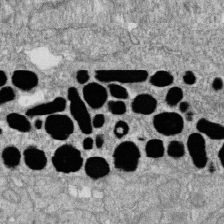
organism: Zebrafish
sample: Cilia; retinal pigment epithelium